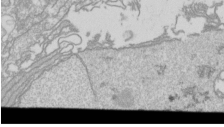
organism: Drosophila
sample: Cell division; meiosis; drosophila spermatocytes